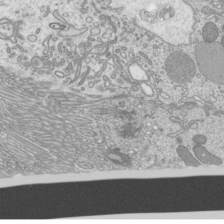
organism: Mouse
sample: Cilia; mouse epididymis